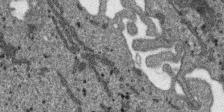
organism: Human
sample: Lung epithelial cells infected with SARS-CoV-2